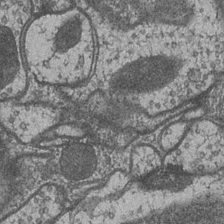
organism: Drosophila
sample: Optic medulla